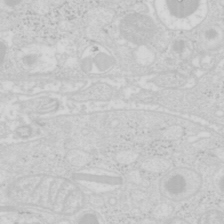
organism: Mouse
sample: Pancreas